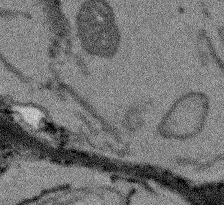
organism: Arabidopsis thaliana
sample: Root tip